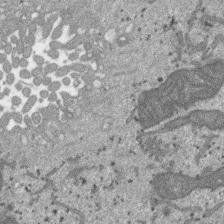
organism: Human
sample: Lung epithelial cells infected with SARS-CoV-2